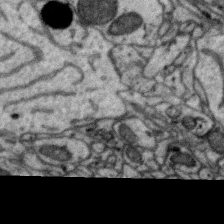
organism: Zebra finch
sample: Brain